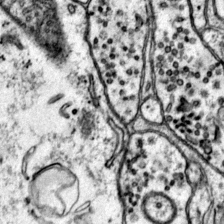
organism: Mouse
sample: Primary visual cortex